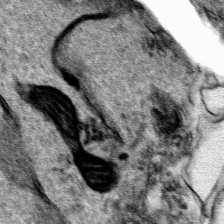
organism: Human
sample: Mitochondria in HCT116 cells